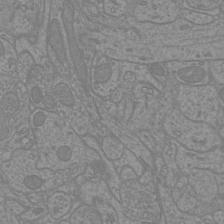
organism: Mouse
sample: Cortical neurons